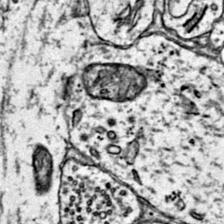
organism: Mouse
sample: Primary visual cortex